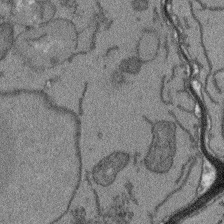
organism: Arabidopsis thaliana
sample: Root tip